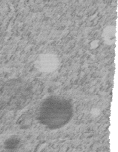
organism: C. elegans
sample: C. elegans embryo early stage